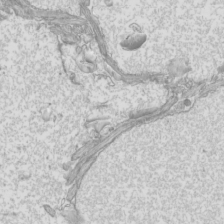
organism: Mouse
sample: Cilia; mouse epididymis